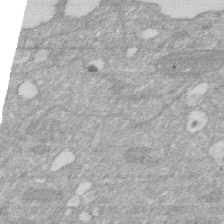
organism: Human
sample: HIV infected U937 cells